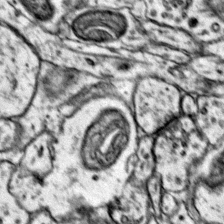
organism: Mouse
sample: Primary visual cortex